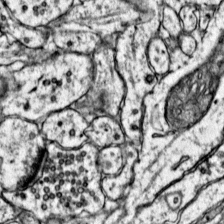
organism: Mouse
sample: Primary visual cortex